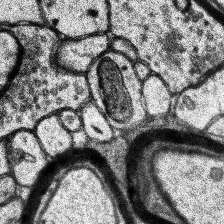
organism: Human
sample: Temporal Lobe